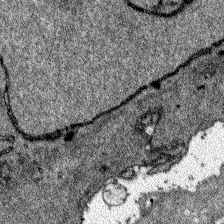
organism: Zebrafish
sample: Larval olfactory bulb